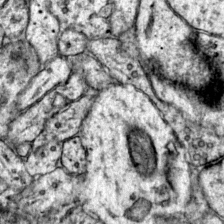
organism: Mouse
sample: Primary visual cortex